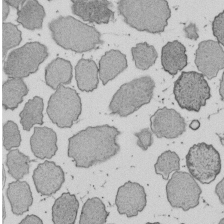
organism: E. coli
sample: Bacterial nucleoid